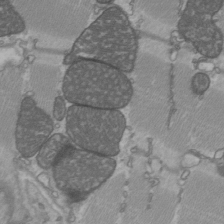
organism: C57BL Mouse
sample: Heart